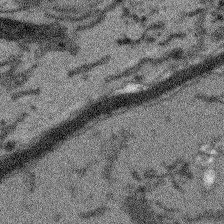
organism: Arabidopsis thaliana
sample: Root tip